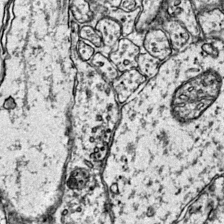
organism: Mouse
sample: Primary visual cortex